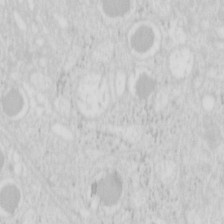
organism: Mouse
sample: Pancreas